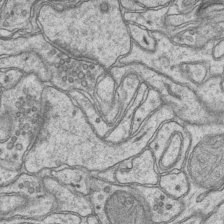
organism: Mouse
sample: CA1 Hippocampus